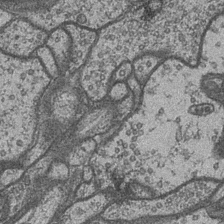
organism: Drosophila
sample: Optic medulla